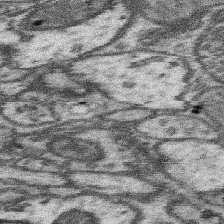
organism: Mouse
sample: Somatosensory cortex neuropil